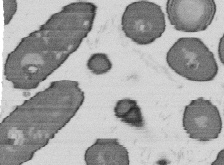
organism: B. subtilis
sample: Bacterial spore